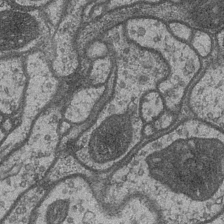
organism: Drosophila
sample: Optic medulla